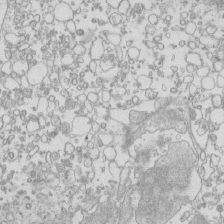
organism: Mouse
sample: Macrophages